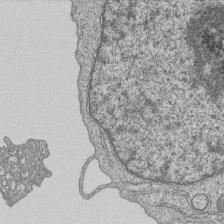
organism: Human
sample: MDA-MB-231 cells